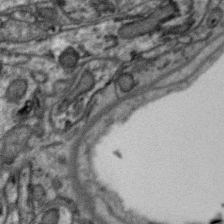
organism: Zebra finch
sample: Brain